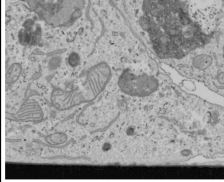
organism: Human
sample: Mitochondria in U2OS cells